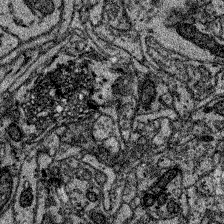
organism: Zebrafish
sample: Larval olfactory bulb